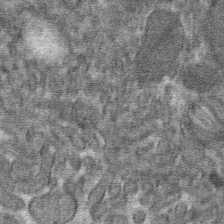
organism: Mouse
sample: Mouse hepatocytes